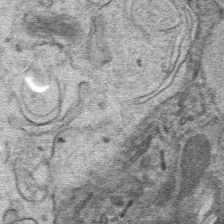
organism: Mouse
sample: Mouse hepatocytes